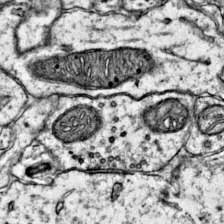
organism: Mouse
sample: Primary visual cortex